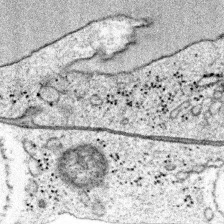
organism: Human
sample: HeLa cells